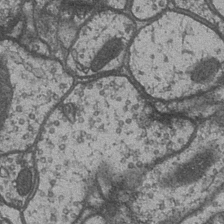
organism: Drosophila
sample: Optic medulla